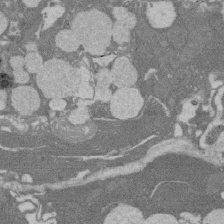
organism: Rat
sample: Salivary granule